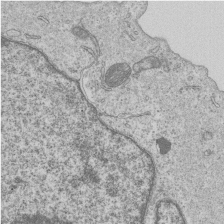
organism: Human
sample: MDA-MB-231 cells